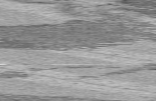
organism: C57BL Mouse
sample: Heart